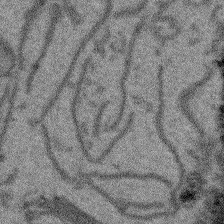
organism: Arabidopsis thaliana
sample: Root tip